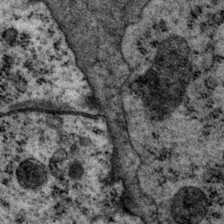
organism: P. pacificus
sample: Pharynx